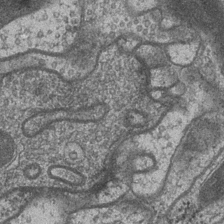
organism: Drosophila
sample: Optic medulla